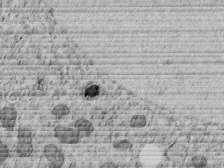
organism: C. elegans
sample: C. elegans embryo early stage